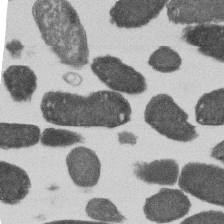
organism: E. coli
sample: Bacterial nucleoid